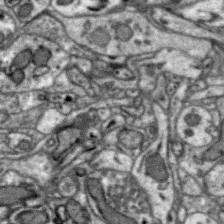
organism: Zebra finch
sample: Brain